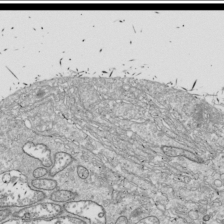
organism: Drosophila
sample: Cell division; meiosis; drosophila spermatocytes